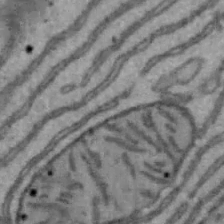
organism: Mouse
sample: Liver